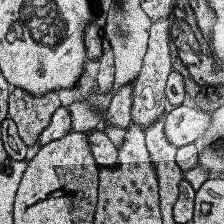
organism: Human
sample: Temporal Lobe